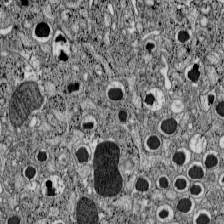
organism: C57BL Mouse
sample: Pancreatic islet